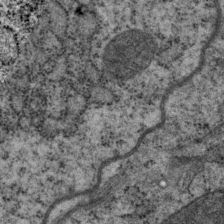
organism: P. pacificus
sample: Pharynx